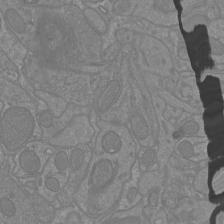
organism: Mouse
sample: Cortical neurons